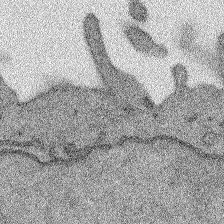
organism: Human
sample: HeLa cells